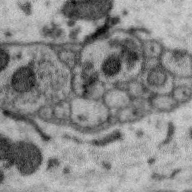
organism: Zebra finch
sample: Brain